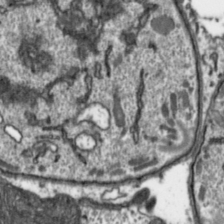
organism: Toxoplasma gondii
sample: Parasites in a vacuole inside a host cell